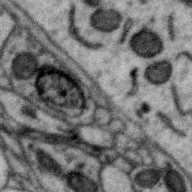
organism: Zebra finch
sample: Brain